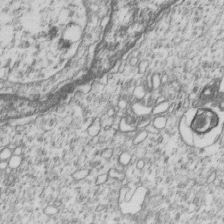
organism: Human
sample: MDA-MB-231 cells